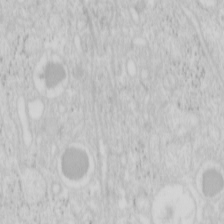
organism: Mouse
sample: Pancreas